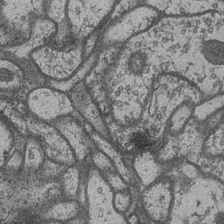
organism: Drosophila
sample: Optic medulla